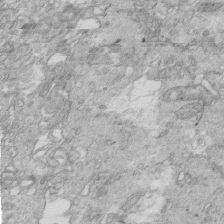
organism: Mouse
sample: Multiciliated cells